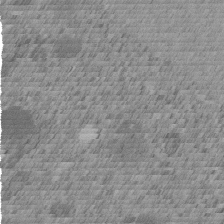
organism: C. elegans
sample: C. elegans embryo early stage